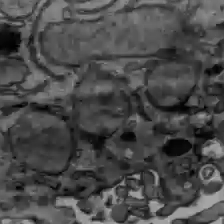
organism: C57BL Mouse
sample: Liver